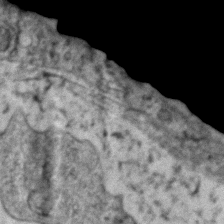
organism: Zebrafish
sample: Zebrafish embryo